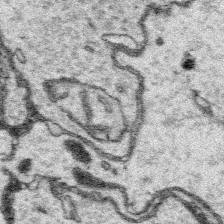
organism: Platynereis dumerilii